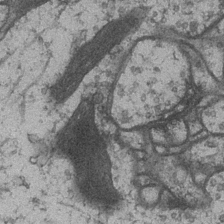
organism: Drosophila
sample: Optic medulla